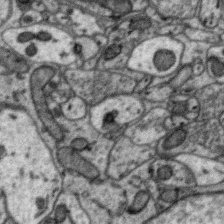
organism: Zebra finch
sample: Brain